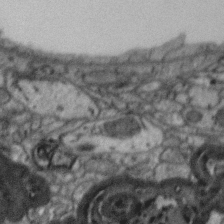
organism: Zebra finch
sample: Brain